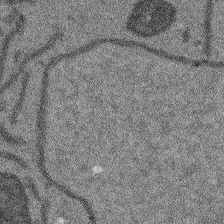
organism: Arabidopsis thaliana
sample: Root tip